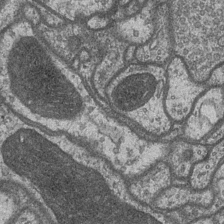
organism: Drosophila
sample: Optic medulla